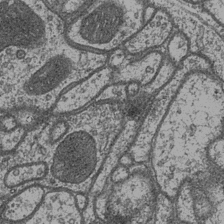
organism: Drosophila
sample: Optic medulla